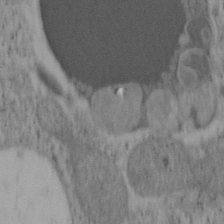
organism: Mouse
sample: OT-I killer T cells with ID8 ovarian cancer cells